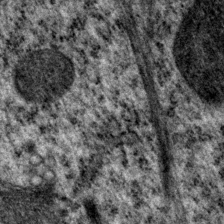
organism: P. pacificus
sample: Pharynx